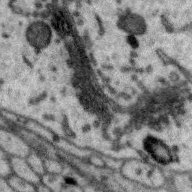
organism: Zebra finch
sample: Brain